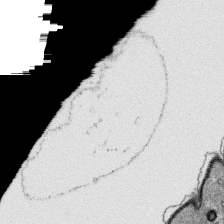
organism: Platynereis dumerilii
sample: Parapodia